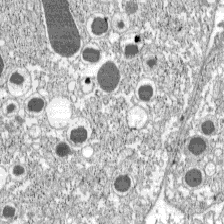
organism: C57BL Mouse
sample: Pancreatic islet